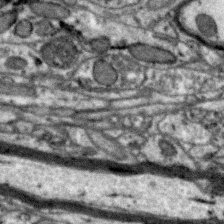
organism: Zebra finch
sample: Brain